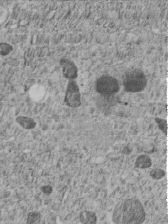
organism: C. elegans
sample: C. elegans embryo early stage